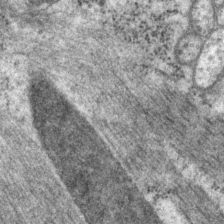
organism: P. pacificus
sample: Pharynx